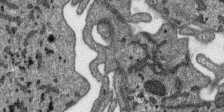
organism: Human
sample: Lung epithelial cells infected with SARS-CoV-2